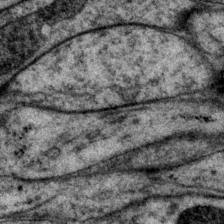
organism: P. pacificus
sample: Pharynx